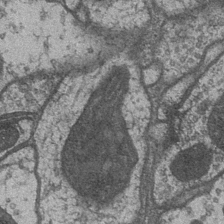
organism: Drosophila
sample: Optic medulla